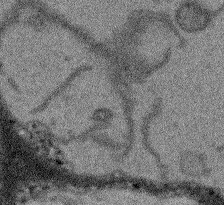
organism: Arabidopsis thaliana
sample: Root tip